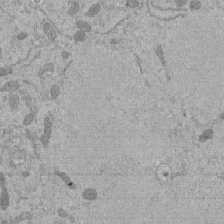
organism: Mouse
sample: ED-1 cell nuclei; centrioles